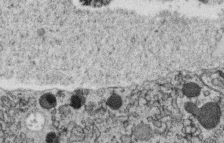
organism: C. elegans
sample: C. elegans oocyte; sperm cells